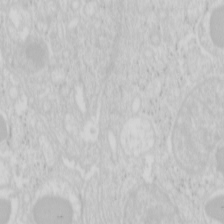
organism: Mouse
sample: Pancreas